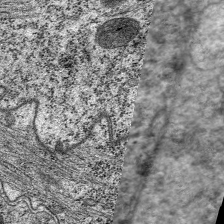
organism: C. elegans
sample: Pharynx